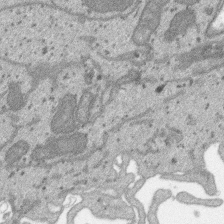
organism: Human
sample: Lung epithelial cells infected with SARS-CoV-2